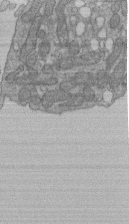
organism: Human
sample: Retinal organoid Rod and Cone cells